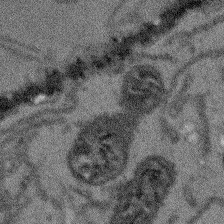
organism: Arabidopsis thaliana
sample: Root tip